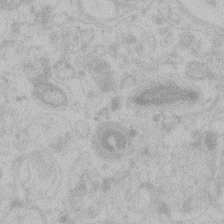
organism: Zebrafish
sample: Macrophage infected with Toxoplasma gondii